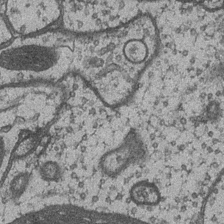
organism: Drosophila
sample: Optic medulla